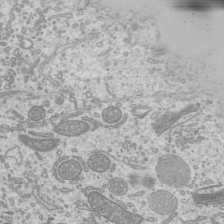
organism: Mouse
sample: Cilia; mouse epididymis